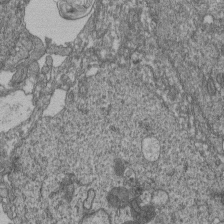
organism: Human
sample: Retinal organoid Rod and Cone cells